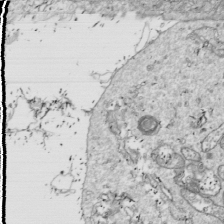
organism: Drosophila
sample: Cell division; meiosis; drosophila spermatocytes